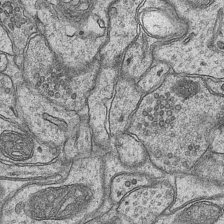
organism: Mouse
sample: CA1 Hippocampus